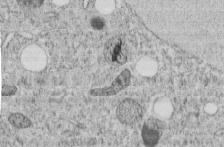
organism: C. elegans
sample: C. elegans embryo early stage